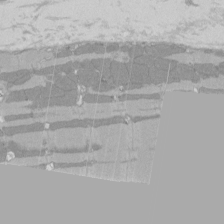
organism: Rat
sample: Left ventricle